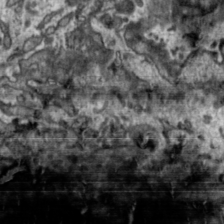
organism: Toxoplasma gondii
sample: Parasites in a vacuole inside a host cell